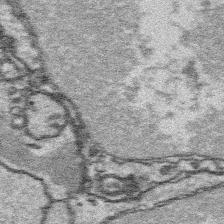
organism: Platynereis dumerilii